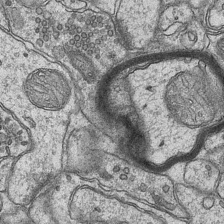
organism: Mouse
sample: CA1 Hippocampus